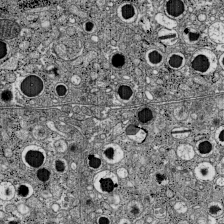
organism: C57BL Mouse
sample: Pancreatic islet